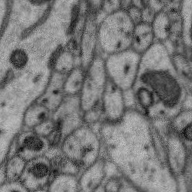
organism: Zebra finch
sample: Brain